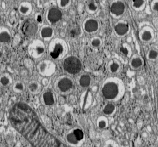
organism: C57BL Mouse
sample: Pancreatic islet